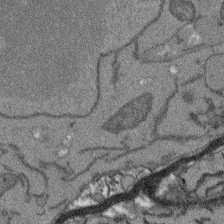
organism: Arabidopsis thaliana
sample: Root tip